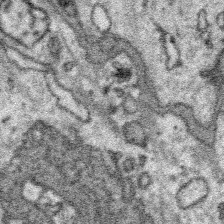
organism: Platynereis dumerilii